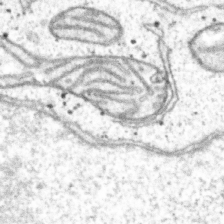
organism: Human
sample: HeLa cells